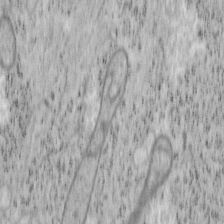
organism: Human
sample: HeLa cells